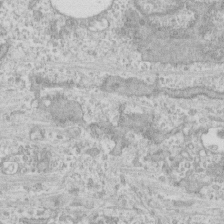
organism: Human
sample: CRL-1474